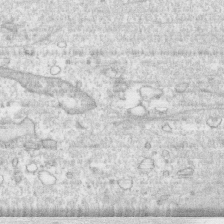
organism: Human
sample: CRL-1474